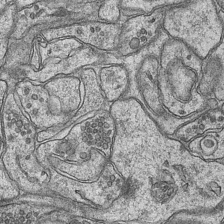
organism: Mouse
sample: CA1 Hippocampus